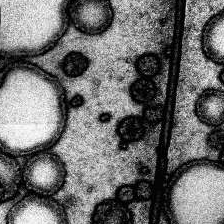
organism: Human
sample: Temporal Lobe